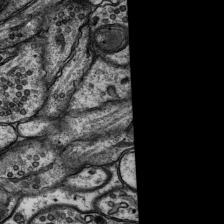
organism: Rat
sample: Hippocampus